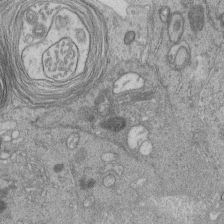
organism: Human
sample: Retinal organoid Rod and Cone cells